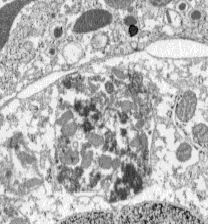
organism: C57BL Mouse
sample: Pancreatic islet